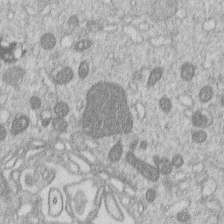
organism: Human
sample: Macrophage cells